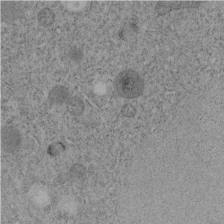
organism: C. elegans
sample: C. elegans embryo early stage